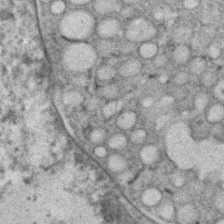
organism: C. elegans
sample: C. elegans embryo